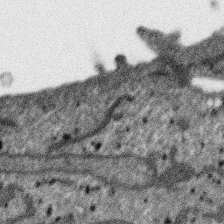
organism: Human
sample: Lung epithelial cells infected with SARS-CoV-2